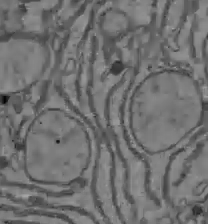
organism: C57BL Mouse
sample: Liver